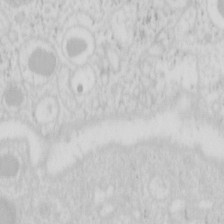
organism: Mouse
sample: Pancreas